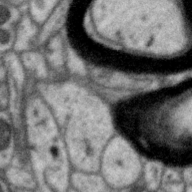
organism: Zebra finch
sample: Brain